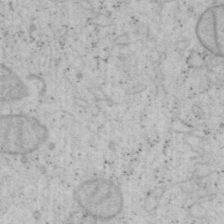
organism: Human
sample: HeLa cells